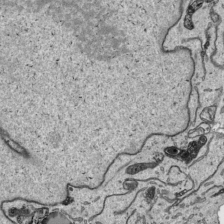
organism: Human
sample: Mitochondria in HCT116 cells